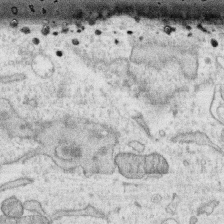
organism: Human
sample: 1205lu cells